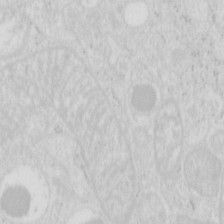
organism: Mouse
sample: Pancreas